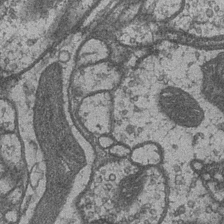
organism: Drosophila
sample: Optic medulla